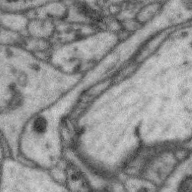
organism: Zebra finch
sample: Brain